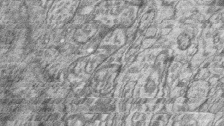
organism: Zebrafish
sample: synaptic ribbons in rod cells and cone cells